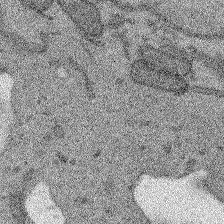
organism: Human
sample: HeLa cells